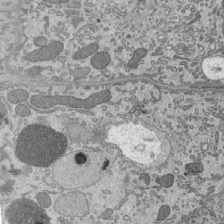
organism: Mouse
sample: Mouse epididymis efferent ductule cilia